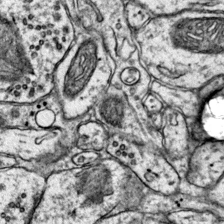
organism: Mouse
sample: Primary visual cortex